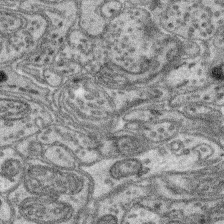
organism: Mouse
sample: Retina